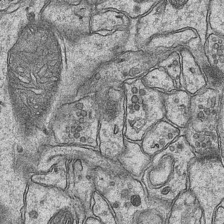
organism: Mouse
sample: CA1 Hippocampus